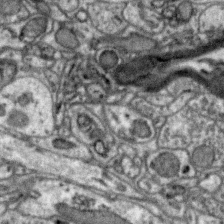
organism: Zebra finch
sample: Brain